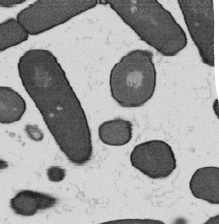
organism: B. subtilis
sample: Bacterial spore